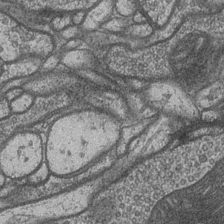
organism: Drosophila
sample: Optic medulla